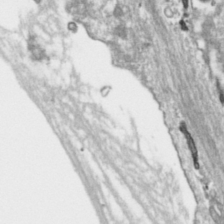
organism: Toxoplasma gondii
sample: Parasites in a vacuole inside a host cell